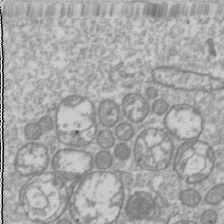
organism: Drosophila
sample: Cell division; meiosis; drosophila spermatocytes